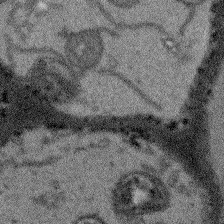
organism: Arabidopsis thaliana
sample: Root tip